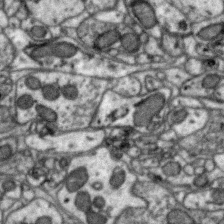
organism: Zebra finch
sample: Brain